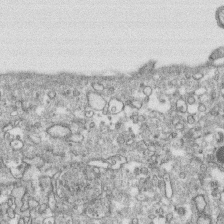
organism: Human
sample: CRL-1474